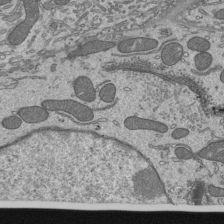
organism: Mouse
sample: Mouse epididymis efferent ductule cilia